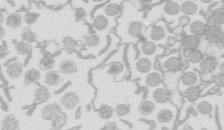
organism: Mouse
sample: Multiciliated cells